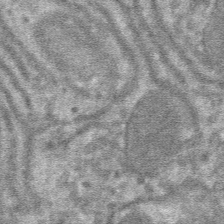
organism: Mouse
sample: Mouse hepatocytes